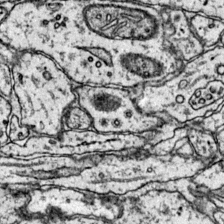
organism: Mouse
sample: Primary visual cortex